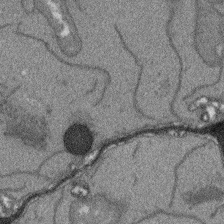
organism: Arabidopsis thaliana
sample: Root tip